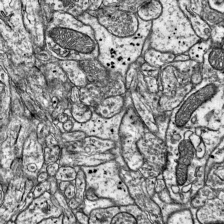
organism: Mouse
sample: Visual Cortex